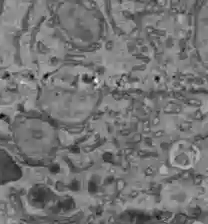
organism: C57BL Mouse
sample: Liver